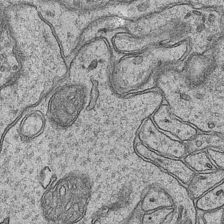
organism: Mouse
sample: CA1 Hippocampus